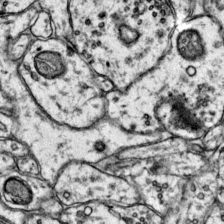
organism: Mouse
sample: Primary visual cortex